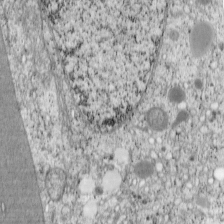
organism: African green monkey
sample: COS-7 cells